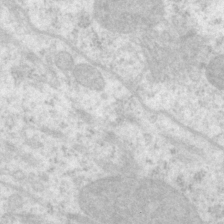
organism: P. pacificus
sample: Pharynx